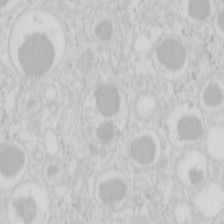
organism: Mouse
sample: Pancreas